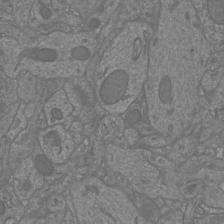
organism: Mouse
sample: Cortical neurons